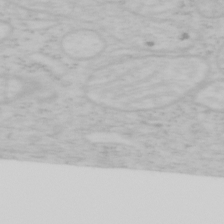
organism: Mouse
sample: OT-I killer T cells with ID8 ovarian cancer cells